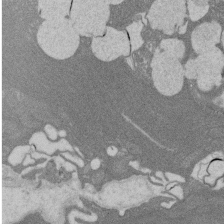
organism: Rat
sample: Salivary granule